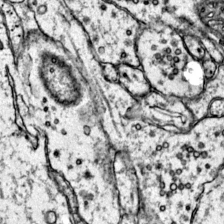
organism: Mouse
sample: Primary visual cortex